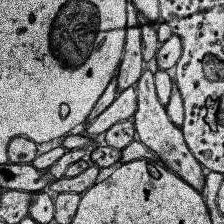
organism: Human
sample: Temporal Lobe